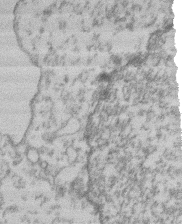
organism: Mouse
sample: T cell stromal cell synapse